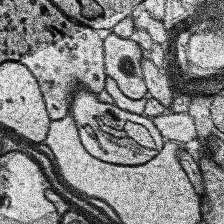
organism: Human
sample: Temporal Lobe